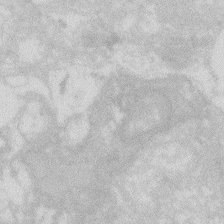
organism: Zebrafish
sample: Macrophage